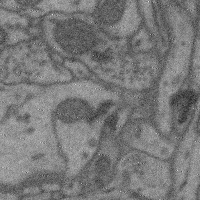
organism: Mouse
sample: Cerebral cortex